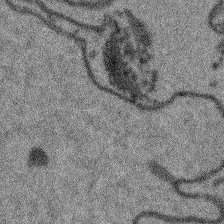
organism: Arabidopsis thaliana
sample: Root tip